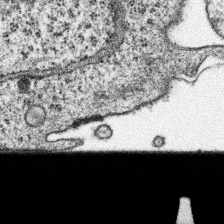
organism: Human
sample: HeLa cells